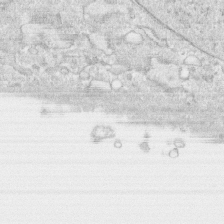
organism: Human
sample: CRL-1474